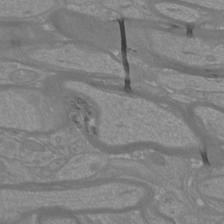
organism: Mouse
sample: Cortical neurons